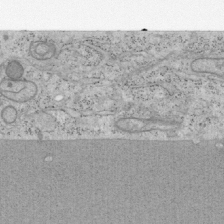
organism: Human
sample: HeLa cells